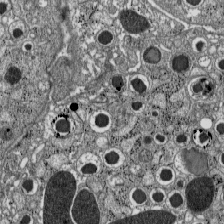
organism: C57BL Mouse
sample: Pancreatic islet